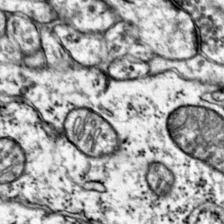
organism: Mouse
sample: Primary visual cortex